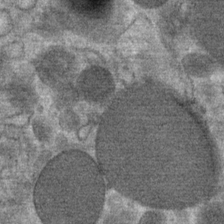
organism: Mouse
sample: Mouse Salivary gland